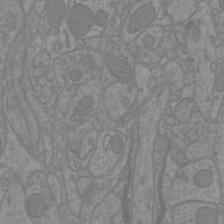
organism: Mouse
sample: Cortical neurons